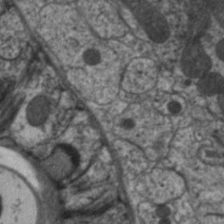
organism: C. elegans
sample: Pharynx